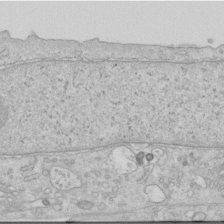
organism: Human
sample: Centriole in RPE cells